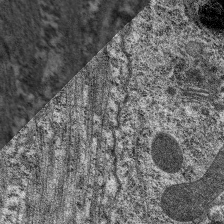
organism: C. elegans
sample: Pharynx